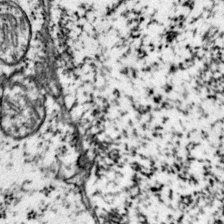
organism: Mouse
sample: Primary visual cortex